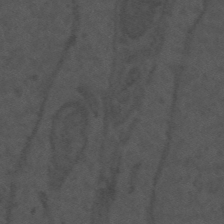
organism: Mouse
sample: Suprachiasmatic nucleus